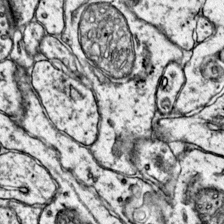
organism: Mouse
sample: Primary visual cortex